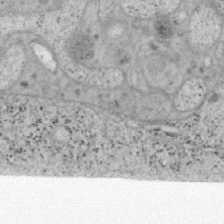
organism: Mouse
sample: OT-I killer T cells with ID8 ovarian cancer cells